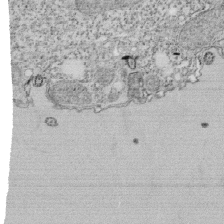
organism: Tetrahymena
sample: Cilia in tetrahymena